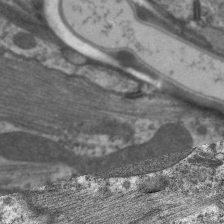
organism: C. elegans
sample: Pharynx